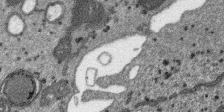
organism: Human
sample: Lung epithelial cells infected with SARS-CoV-2